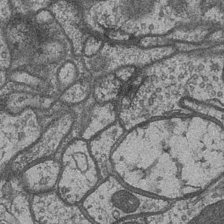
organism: Drosophila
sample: Optic medulla